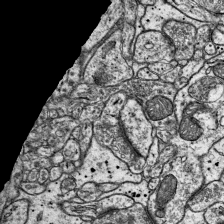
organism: Mouse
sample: Visual Cortex